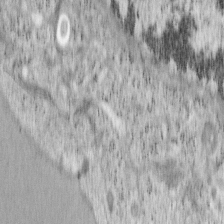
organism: Human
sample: HeLa cells